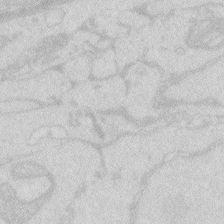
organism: Zebrafish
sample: Macrophage